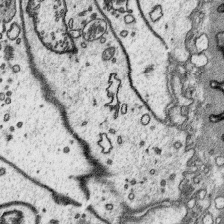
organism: Platynereis dumerilii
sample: Parapodia